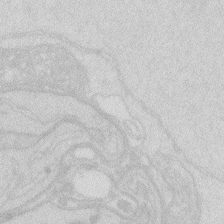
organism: Zebrafish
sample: Macrophage